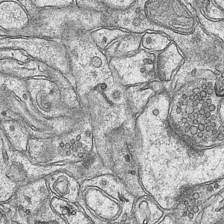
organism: Mouse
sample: CA1 Hippocampus